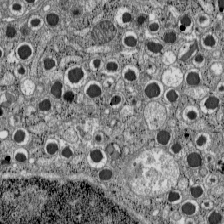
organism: C57BL Mouse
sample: Pancreatic islet